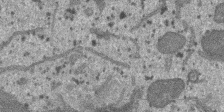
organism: Human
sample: Lung epithelial cells infected with SARS-CoV-2